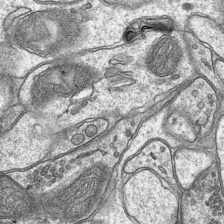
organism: Mouse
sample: CA1 Hippocampus